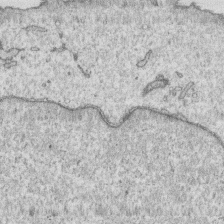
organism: Human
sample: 1205lu cells